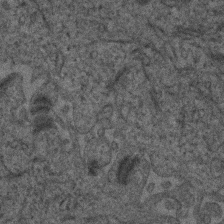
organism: Human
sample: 1205lu cells